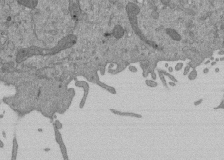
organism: Mouse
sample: ED-1 cell nuclei; centrioles